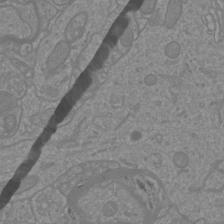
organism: Mouse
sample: Cortical neurons